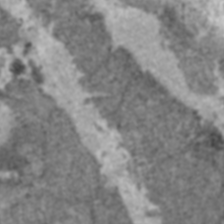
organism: C57BL Mouse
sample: Heart